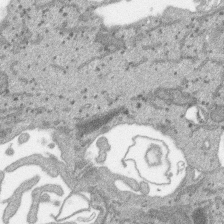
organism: Human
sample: Lung epithelial cells infected with SARS-CoV-2